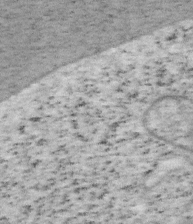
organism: Mouse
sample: OT-I killer T cells with ID8 ovarian cancer cells